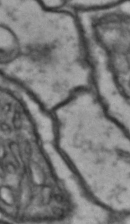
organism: Drosophila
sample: Brain